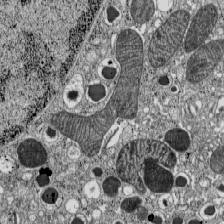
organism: C57BL Mouse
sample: Pancreatic islet